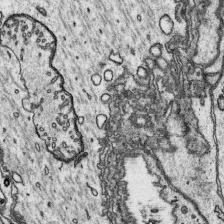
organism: Platynereis dumerilii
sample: Parapodia